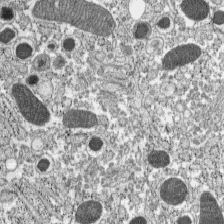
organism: C57BL Mouse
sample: Pancreatic islet